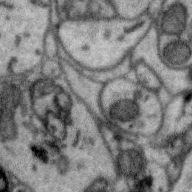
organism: Zebra finch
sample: Brain